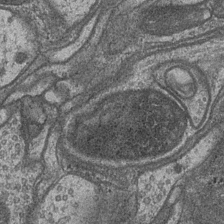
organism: Drosophila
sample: Optic medulla